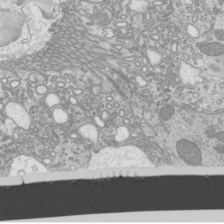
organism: Mouse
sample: Cilia; mouse epididymis